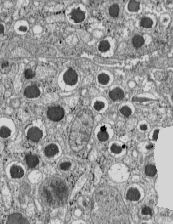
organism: C57BL Mouse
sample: Pancreatic islet